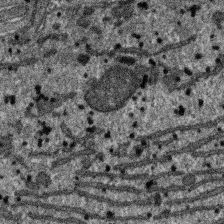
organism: Human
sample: Lung epithelial cells infected with SARS-CoV-2